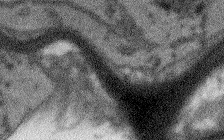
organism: Arabidopsis thaliana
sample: Root tip